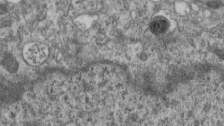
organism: Mouse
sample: Centriole in ependymal cells